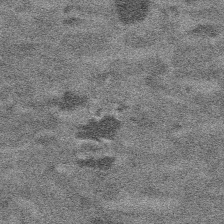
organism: Platynereis dumerilii